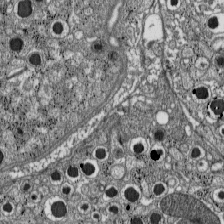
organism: C57BL Mouse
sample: Pancreatic islet